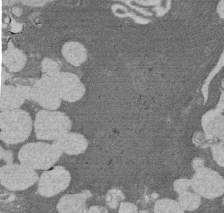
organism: Rat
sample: Salivary granule